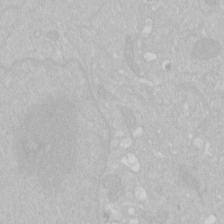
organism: Human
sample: HIV infected U937 cells